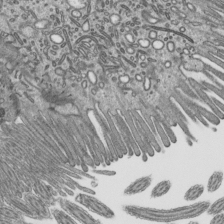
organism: Mouse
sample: Mouse epididymis efferent ductule cilia